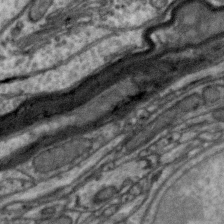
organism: Zebra finch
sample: Brain